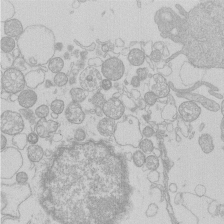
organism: Human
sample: Macrophage cells